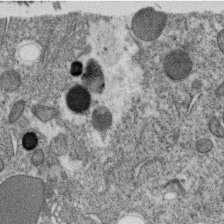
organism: C. elegans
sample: C. elegans oocyte; sperm cells